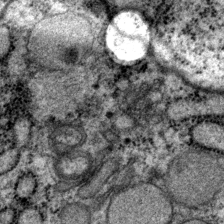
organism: P. pacificus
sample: Pharynx